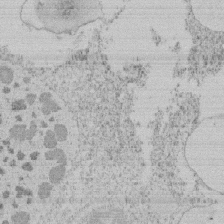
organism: Tetrahymena